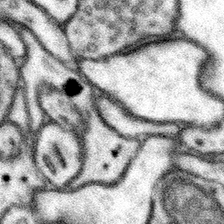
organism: Mouse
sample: Somatosensory cortex neuropil